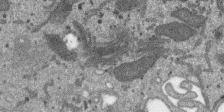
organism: Human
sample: Lung epithelial cells infected with SARS-CoV-2